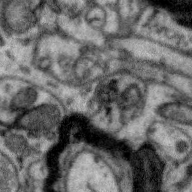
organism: Zebra finch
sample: Brain